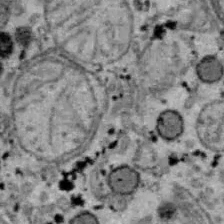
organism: Mouse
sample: Liver from an obese (ob/ob) mouse